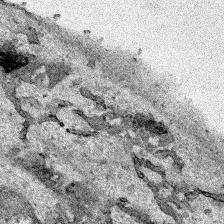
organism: Human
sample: Mitochondria in HCT116 cells